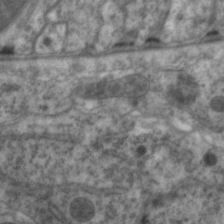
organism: C. elegans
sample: Pharynx